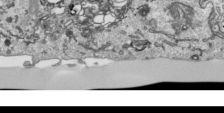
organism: Human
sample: Mitochondria in HCT116 cells